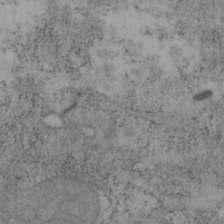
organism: Mouse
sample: OT-I killer T cells with ID8 ovarian cancer cells